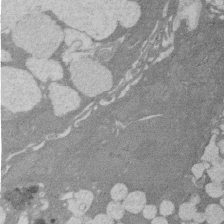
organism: Rat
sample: Salivary granule